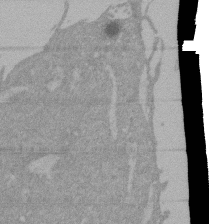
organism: Mouse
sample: ED-1 cell nuclei; centrioles